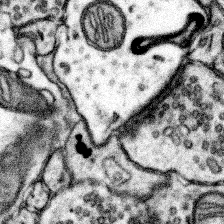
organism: Mouse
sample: Somatosensory cortex neuropil